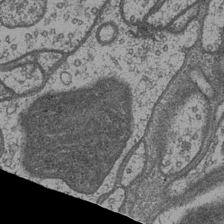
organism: Drosophila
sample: Optic medulla